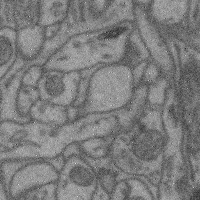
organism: Mouse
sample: Cerebral cortex